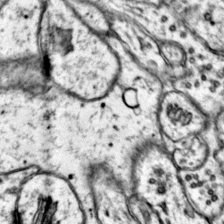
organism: Mouse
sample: Primary visual cortex